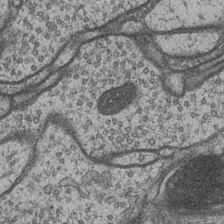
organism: Drosophila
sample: Optic medulla